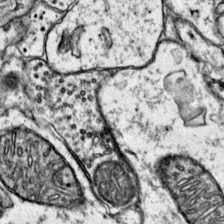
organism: Mouse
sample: Primary visual cortex